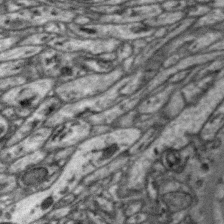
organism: Zebra finch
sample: Brain